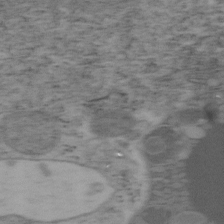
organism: Mouse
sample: OT-I killer T cells with ID8 ovarian cancer cells